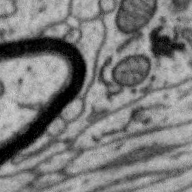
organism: Zebra finch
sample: Brain